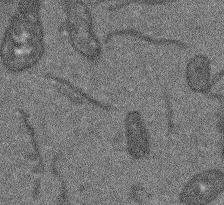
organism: Arabidopsis thaliana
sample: Root tip